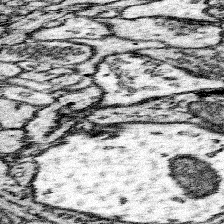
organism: Mouse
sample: Somatosensory cortex neuropil